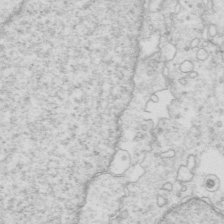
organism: Mouse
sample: Multiciliated cells